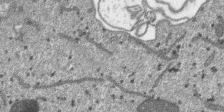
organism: Human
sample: Lung epithelial cells infected with SARS-CoV-2